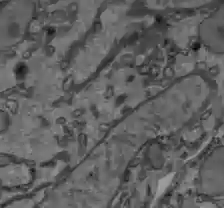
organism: C57BL Mouse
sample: Liver